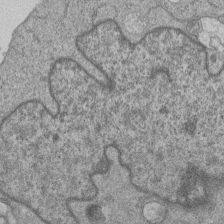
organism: Human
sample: MDA-MB-231 cells